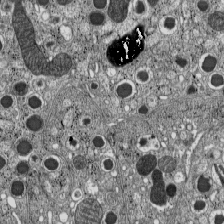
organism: C57BL Mouse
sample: Pancreatic islet